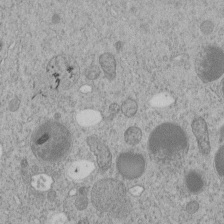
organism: C. elegans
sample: C. elegans embryo early stage